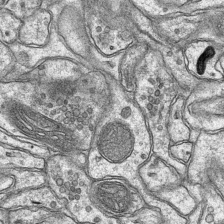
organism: Mouse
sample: CA1 Hippocampus